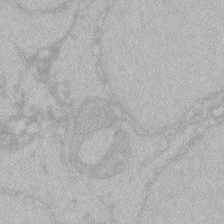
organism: Zebrafish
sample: Macrophage infected with Toxoplasma gondii